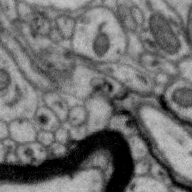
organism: Zebra finch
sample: Brain